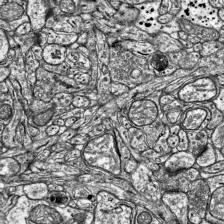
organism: Mouse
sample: Visual Cortex